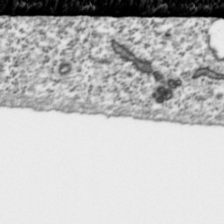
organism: Toxoplasma gondii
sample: Parasites in a vacuole inside a host cell